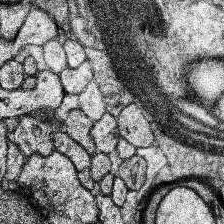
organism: Human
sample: Temporal Lobe